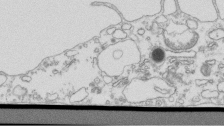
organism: Mouse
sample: Macrophages